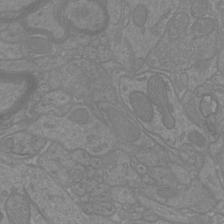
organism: Mouse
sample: Cortical neurons